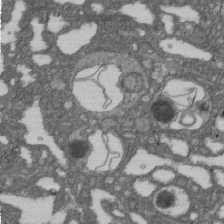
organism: Drosophila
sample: Nephrocyte